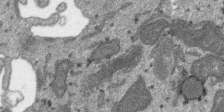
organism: Human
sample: Lung epithelial cells infected with SARS-CoV-2